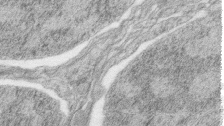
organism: Zebrafish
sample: synaptic ribbons in rod cells and cone cells